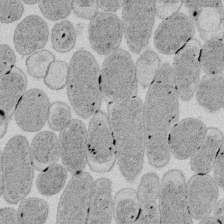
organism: E. coli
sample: Bacterial nucleoid